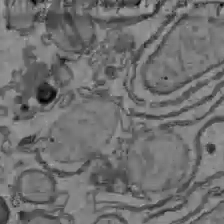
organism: C57BL Mouse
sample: Liver